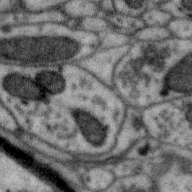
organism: Zebra finch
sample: Brain